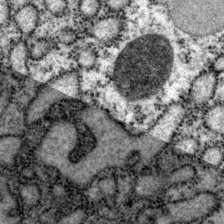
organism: P. pacificus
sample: Pharynx